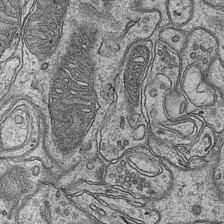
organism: Mouse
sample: CA1 Hippocampus